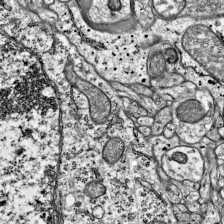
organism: Mouse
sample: Visual Cortex